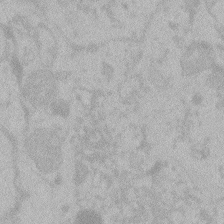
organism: Zebrafish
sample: Macrophage infected with Toxoplasma gondii